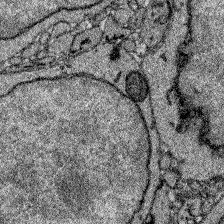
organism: Zebrafish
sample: Larval olfactory bulb